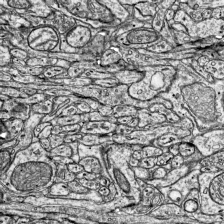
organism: Mouse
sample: Visual Cortex